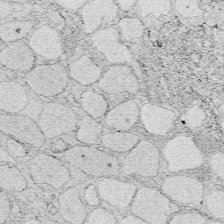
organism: Zebrafish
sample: Whole-Brain